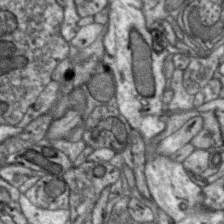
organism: Zebra finch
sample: Brain